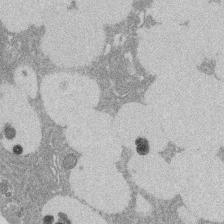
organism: Rat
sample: Salivary granule